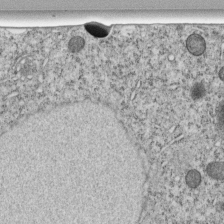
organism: C. elegans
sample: C. elegans embryo early stage